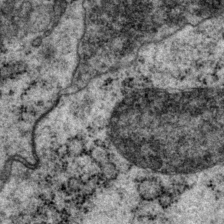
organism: P. pacificus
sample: Pharynx